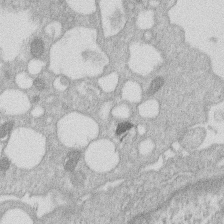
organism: Human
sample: Macrophage cells